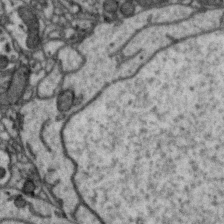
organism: Zebra finch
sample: Brain